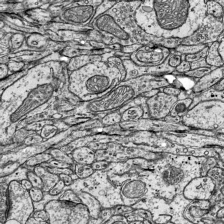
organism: Mouse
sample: Visual Cortex